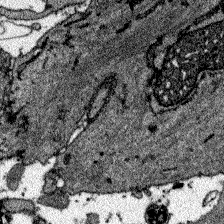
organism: Zebrafish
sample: Larval olfactory bulb